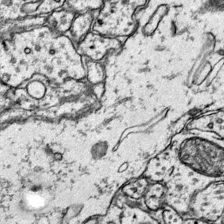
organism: Mouse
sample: Primary visual cortex